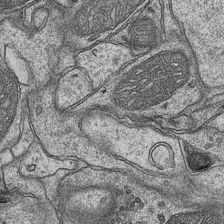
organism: Mouse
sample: CA1 Hippocampus